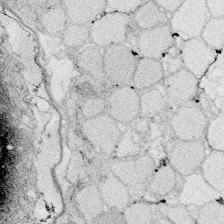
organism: Zebrafish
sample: Whole-Brain